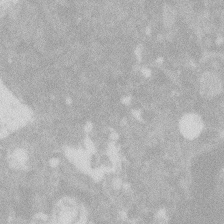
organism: Zebrafish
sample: Macrophage